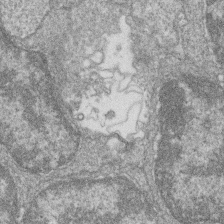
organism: Zebrafish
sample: Cilia; retinal pigment epithelium